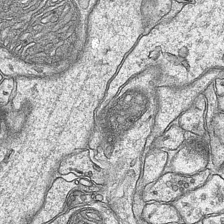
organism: Mouse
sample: CA1 Hippocampus